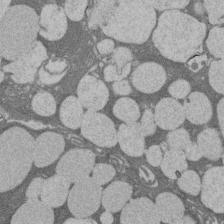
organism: Rat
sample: Salivary granule